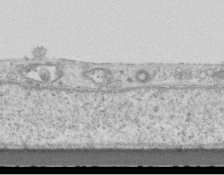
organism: Mouse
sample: Centriole in ependymal cells